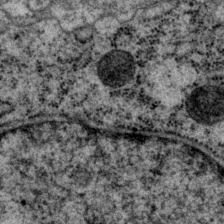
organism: P. pacificus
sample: Pharynx